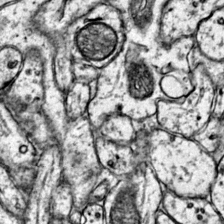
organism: Mouse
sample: Primary visual cortex